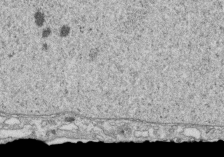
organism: Human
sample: HeLa cell HIV synapse